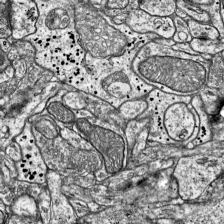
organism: Mouse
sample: Visual Cortex